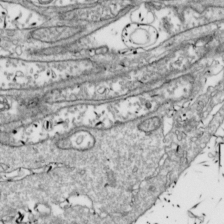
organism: Drosophila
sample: Cell division; meiosis; drosophila spermatocytes